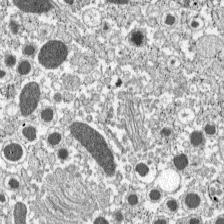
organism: C57BL Mouse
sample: Pancreatic islet